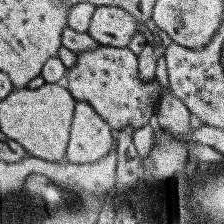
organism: Human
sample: Temporal Lobe